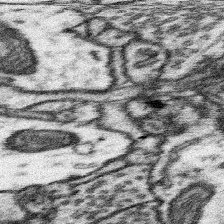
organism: Mouse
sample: Somatosensory cortex neuropil